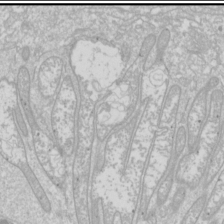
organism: Drosophila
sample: Cell division; meiosis; drosophila spermatocytes